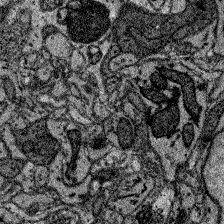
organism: Zebrafish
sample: Larval olfactory bulb